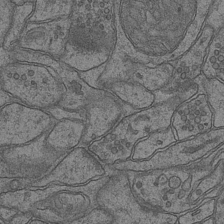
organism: Mouse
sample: CA1 Hippocampus